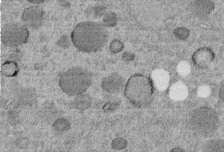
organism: C. elegans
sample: C. elegans embryo early stage